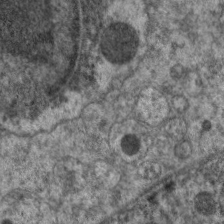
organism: C. elegans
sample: Pharynx